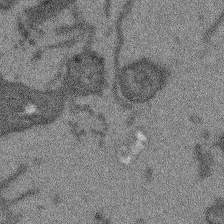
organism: Arabidopsis thaliana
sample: Root tip